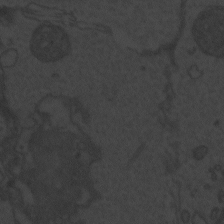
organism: Zebrafish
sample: Macrophage infected with Toxoplasma gondii